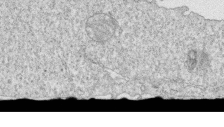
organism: Human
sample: HeLa cell HIV synapse